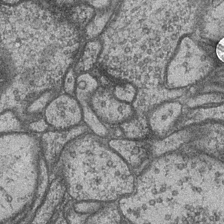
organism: Drosophila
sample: Optic medulla